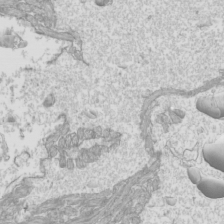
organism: Mouse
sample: Cilia; mouse epididymis